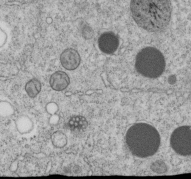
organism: C. elegans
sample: C. elegans embryo early stage